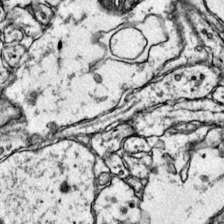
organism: Mouse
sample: Primary visual cortex